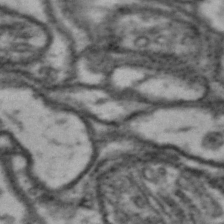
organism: Drosophila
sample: Brain